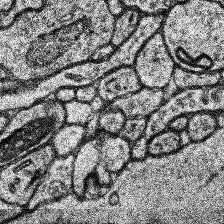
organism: Human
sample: Temporal Lobe